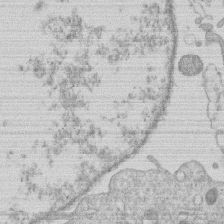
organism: Human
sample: Macrophage cells